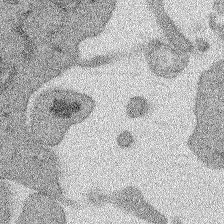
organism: Human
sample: HeLa cells